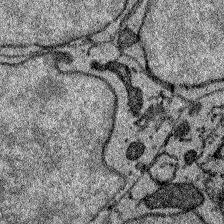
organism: Zebrafish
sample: Larval olfactory bulb